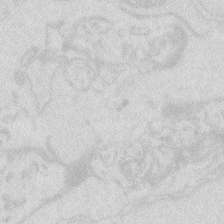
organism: Zebrafish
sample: Macrophage